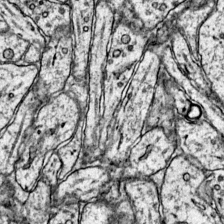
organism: Mouse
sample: Primary visual cortex